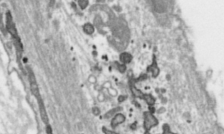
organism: Toxoplasma gondii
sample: Parasites in a vacuole inside a host cell